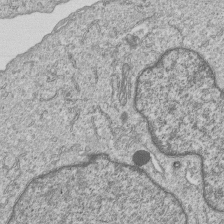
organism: Human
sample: MDA-MB-231 cells